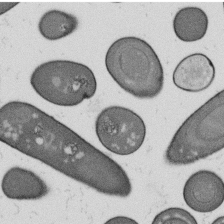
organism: B. subtilis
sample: Bacterial spore